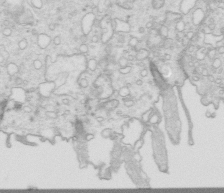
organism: Mouse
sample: Multiciliated cells